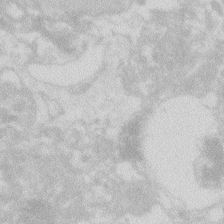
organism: Zebrafish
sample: Macrophage